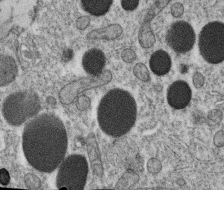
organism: C. elegans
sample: C. elegans oocyte; sperm cells